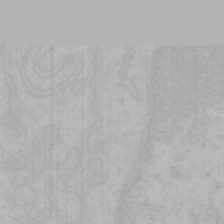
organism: Mouse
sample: Choroid plexus